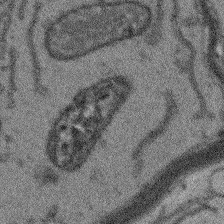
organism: Arabidopsis thaliana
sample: Root tip